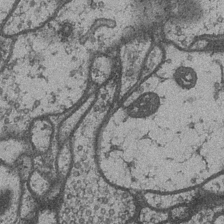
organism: Drosophila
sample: Optic medulla